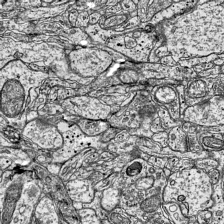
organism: Mouse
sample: Visual Cortex